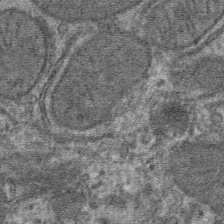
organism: Mouse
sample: Mouse hepatocytes